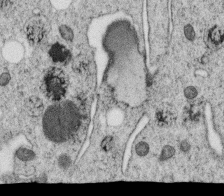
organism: C. elegans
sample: C. elegans oocyte; sperm cells